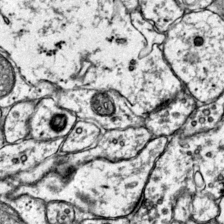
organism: Mouse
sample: Primary visual cortex